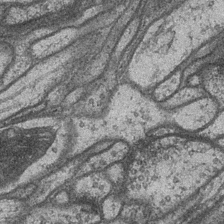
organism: Drosophila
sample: Optic medulla